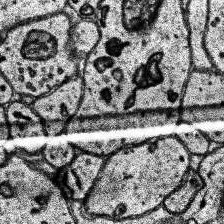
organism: Human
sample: Temporal Lobe